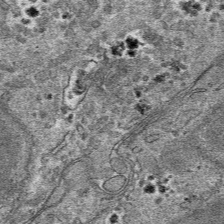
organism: Mouse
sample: Mouse hepatocytes